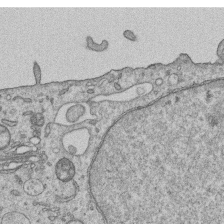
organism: Human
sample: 1205lu cells